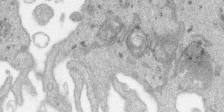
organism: Human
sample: Lung epithelial cells infected with SARS-CoV-2